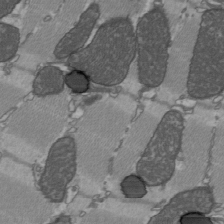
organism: C57BL Mouse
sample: Heart